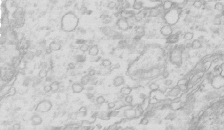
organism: Mouse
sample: Multiciliated cells